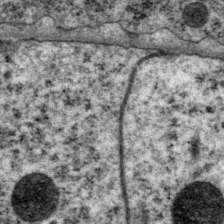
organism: P. pacificus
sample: Pharynx